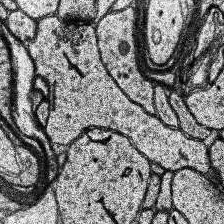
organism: Human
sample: Temporal Lobe